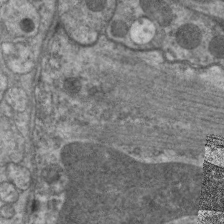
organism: C. elegans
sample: Pharynx